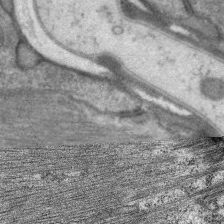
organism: C. elegans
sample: Pharynx